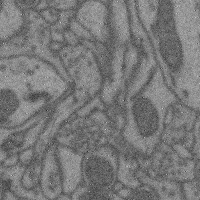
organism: Mouse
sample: Cerebral cortex